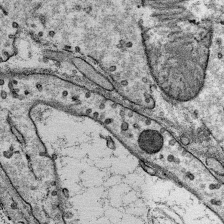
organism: Mouse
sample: Mouse Salivary gland